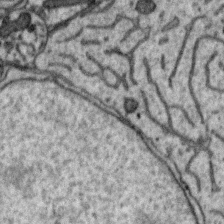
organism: Zebra finch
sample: Brain